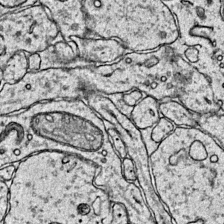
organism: Mouse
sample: Primary visual cortex